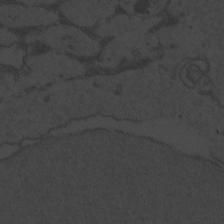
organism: Zebrafish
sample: Macrophage infected with Toxoplasma gondii